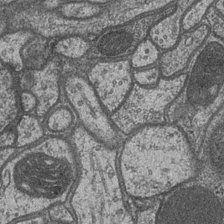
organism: Drosophila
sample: Optic medulla